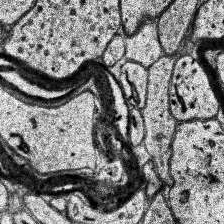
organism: Human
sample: Temporal Lobe